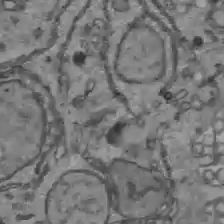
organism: C57BL Mouse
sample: Liver